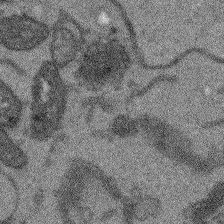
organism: Arabidopsis thaliana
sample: Root tip